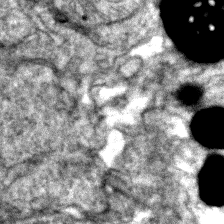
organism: Zebrafish